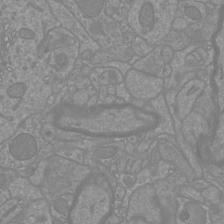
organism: Mouse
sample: Cortical neurons